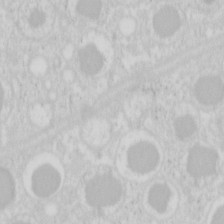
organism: Mouse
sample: Pancreas